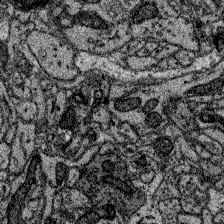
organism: Zebrafish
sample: Larval olfactory bulb